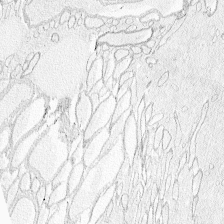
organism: Zebrafish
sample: Whole-Brain